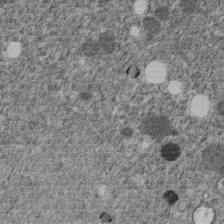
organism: C. elegans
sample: C. elegans embryo early stage